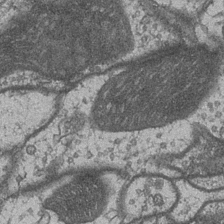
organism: Drosophila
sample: Optic medulla